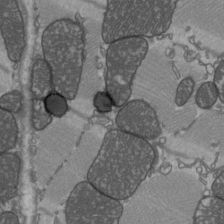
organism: C57BL Mouse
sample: Heart